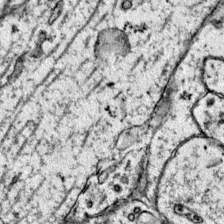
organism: Mouse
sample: Primary visual cortex